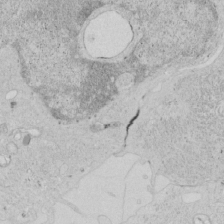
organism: Human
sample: Mitochondria in HCT116 cells